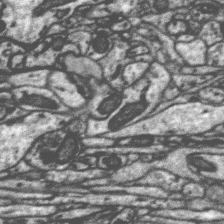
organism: Zebra finch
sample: Brain